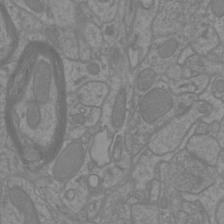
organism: Mouse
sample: Cortical neurons